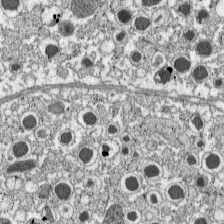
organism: C57BL Mouse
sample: Pancreatic islet